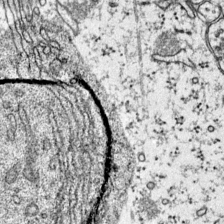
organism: Mouse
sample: Primary visual cortex